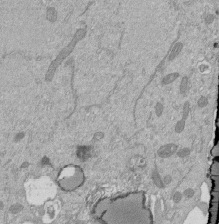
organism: Mouse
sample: ED-1 cell nuclei; centrioles